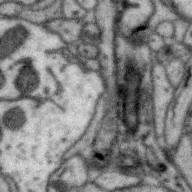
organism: Zebra finch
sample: Brain